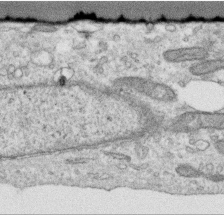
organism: Human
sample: Centriole in RPE cells